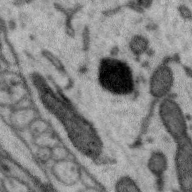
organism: Zebra finch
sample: Brain